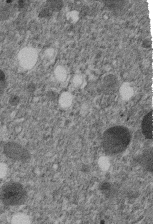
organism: C. elegans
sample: C. elegans embryo early stage